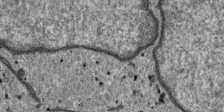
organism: Human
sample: Lung epithelial cells, uninfected (mock) control